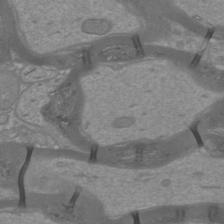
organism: Mouse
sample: Cortical neurons